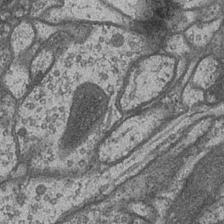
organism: Drosophila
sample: Optic medulla